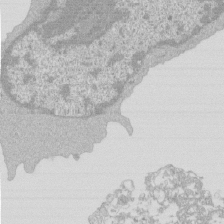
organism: Mouse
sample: Activated Pmel transgenic CD8+ T Cells